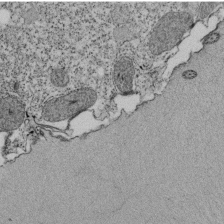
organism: Tetrahymena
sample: Cilia in tetrahymena